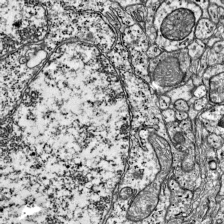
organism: Mouse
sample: Visual Cortex